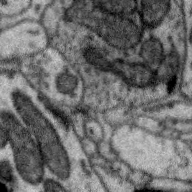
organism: Zebra finch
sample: Brain